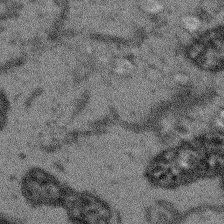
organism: Arabidopsis thaliana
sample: Root tip